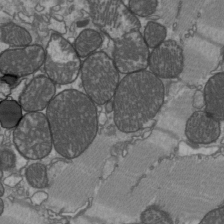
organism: C57BL Mouse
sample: Heart